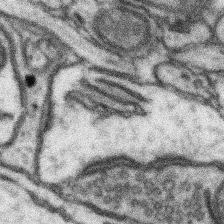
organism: Mouse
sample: Somatosensory cortex neuropil